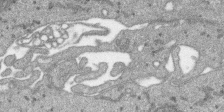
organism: Human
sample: Lung epithelial cells infected with SARS-CoV-2